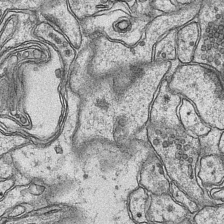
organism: Mouse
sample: CA1 Hippocampus